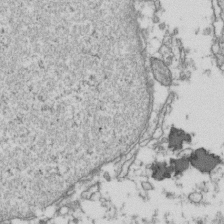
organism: Human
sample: Activated Jurkat CD4+ T cells